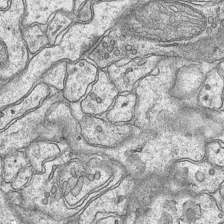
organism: Mouse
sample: CA1 Hippocampus